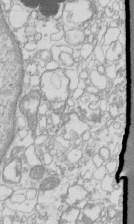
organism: Mouse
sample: Macrophages